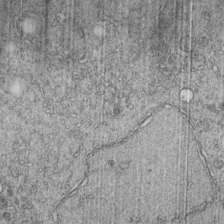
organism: C. elegans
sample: C. elegans embryo early stage